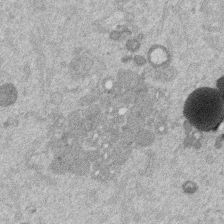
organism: Mouse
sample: Dividing mouse embryo 1 cell stage